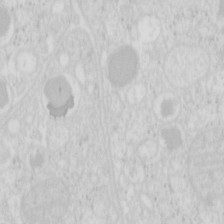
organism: Mouse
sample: Pancreas